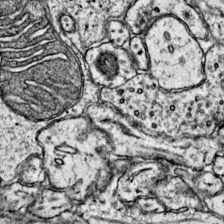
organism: Mouse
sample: Primary visual cortex